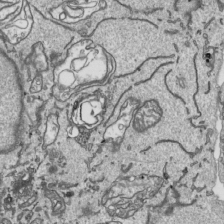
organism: Human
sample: Mitochondria in HCT116 cells